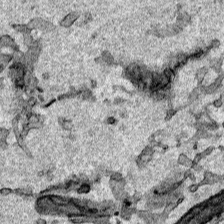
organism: Human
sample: Mitochondria in HCT116 cells